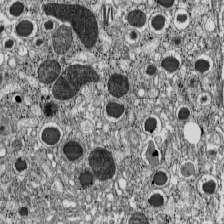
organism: C57BL Mouse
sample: Pancreatic islet